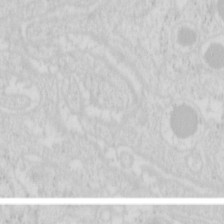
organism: Mouse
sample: Pancreas